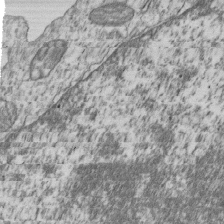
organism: Human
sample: MDA-MB-231 cells